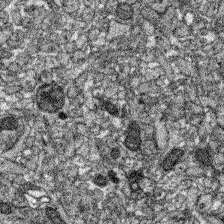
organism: Zebrafish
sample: Larval olfactory bulb